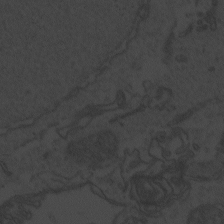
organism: Zebrafish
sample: Macrophage infected with Toxoplasma gondii